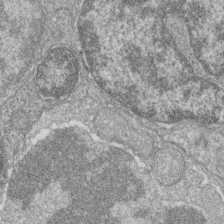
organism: Zebrafish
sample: Cilia; retinal pigment epithelium